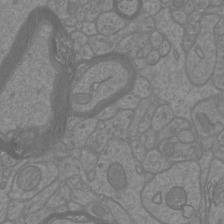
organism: Mouse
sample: Cortical neurons